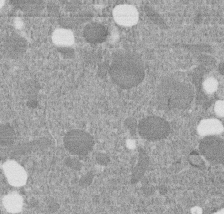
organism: C. elegans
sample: C. elegans embryo early stage